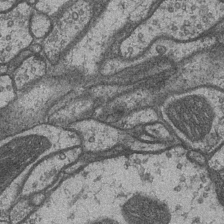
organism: Drosophila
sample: Optic medulla